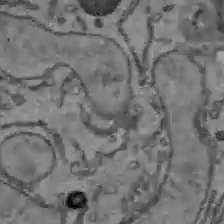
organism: C57BL Mouse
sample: Liver